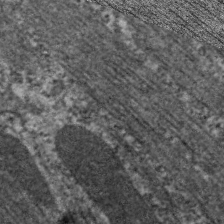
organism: C. elegans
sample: Pharynx